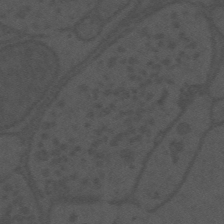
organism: Mouse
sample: Suprachiasmatic nucleus